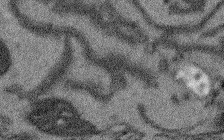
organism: Arabidopsis thaliana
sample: Root tip